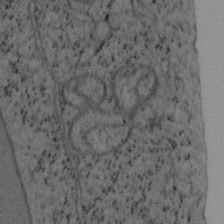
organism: Human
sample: HeLa cells